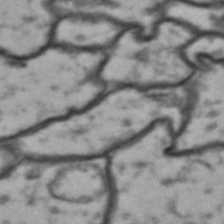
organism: Drosophila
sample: Brain